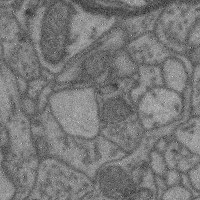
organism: Mouse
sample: Cerebral cortex